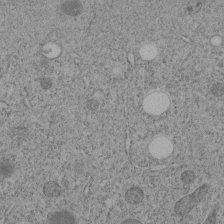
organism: C. elegans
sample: C. elegans embryo early stage